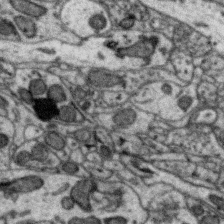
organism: Zebra finch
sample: Brain